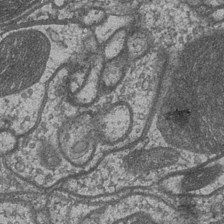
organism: Drosophila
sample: Optic medulla